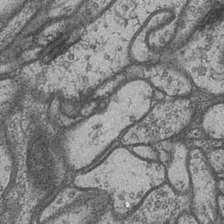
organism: Drosophila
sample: Optic medulla